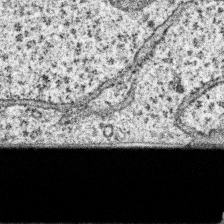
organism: Human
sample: HeLa cells